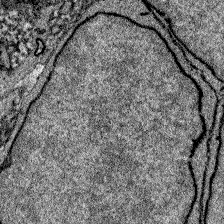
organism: Zebrafish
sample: Larval olfactory bulb